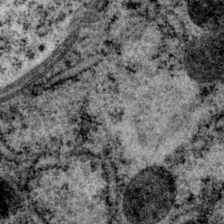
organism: P. pacificus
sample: Pharynx